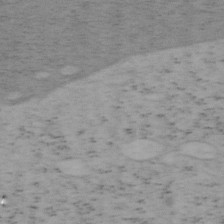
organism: Mouse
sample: OT-I killer T cells with ID8 ovarian cancer cells